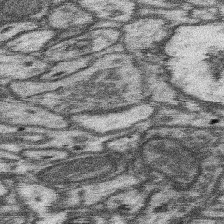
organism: Mouse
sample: Somatosensory cortex neuropil